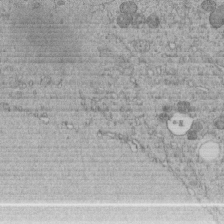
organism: C. elegans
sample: C. elegans embryo early stage